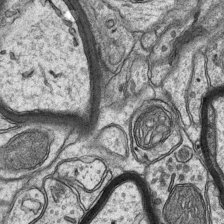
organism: Mouse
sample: CA1 Hippocampus